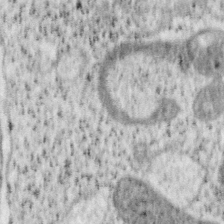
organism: Mouse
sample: OT-I killer T cells with ID8 ovarian cancer cells